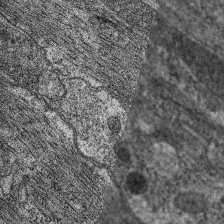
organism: C. elegans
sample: Pharynx